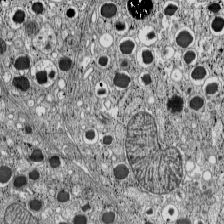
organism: C57BL Mouse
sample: Pancreatic islet